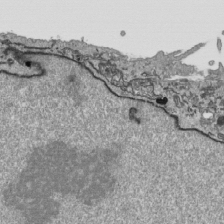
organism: Human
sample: Mitochondria in HCT116 cells